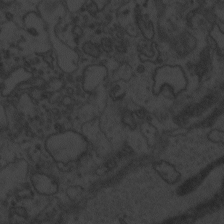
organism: Zebrafish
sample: Macrophage infected with Toxoplasma gondii